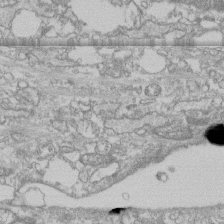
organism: Human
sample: CRL-1474